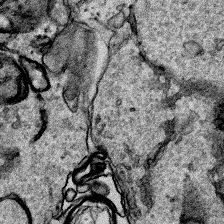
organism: Human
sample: Mitochondria in HCT116 cells